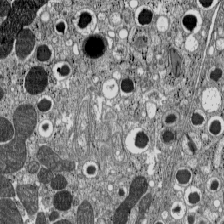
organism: C57BL Mouse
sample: Pancreatic islet